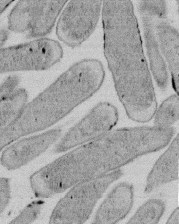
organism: E. coli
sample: Bacterial nucleoid